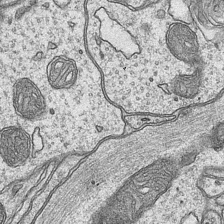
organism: Mouse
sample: CA1 Hippocampus